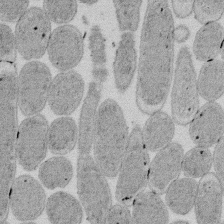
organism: E. coli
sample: Bacterial nucleoid